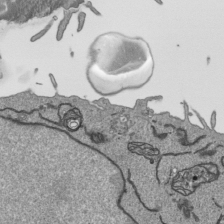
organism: Human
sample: Mitochondria in HCT116 cells